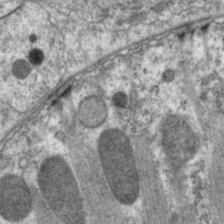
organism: C. elegans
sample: Pharynx